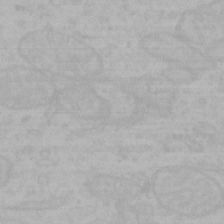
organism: Mouse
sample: Choroid plexus